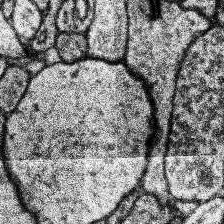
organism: Human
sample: Temporal Lobe